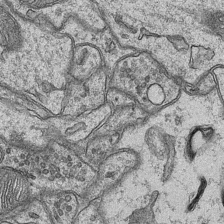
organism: Mouse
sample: CA1 Hippocampus